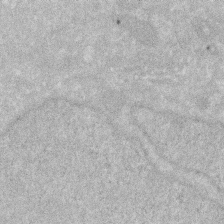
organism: Human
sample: HIV infected U937 cells